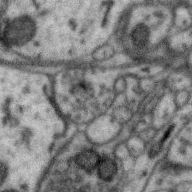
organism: Zebra finch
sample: Brain